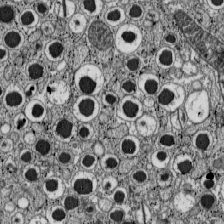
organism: C57BL Mouse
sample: Pancreatic islet